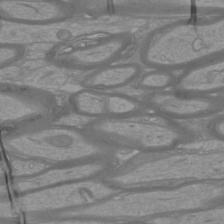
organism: Mouse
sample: Cortical neurons